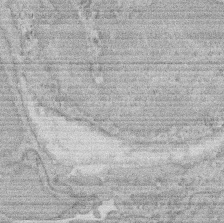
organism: Rat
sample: Salivary granule